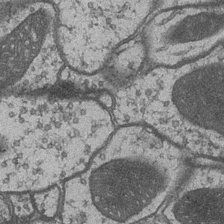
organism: Drosophila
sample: Optic medulla